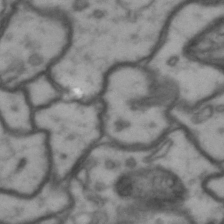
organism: Drosophila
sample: Brain